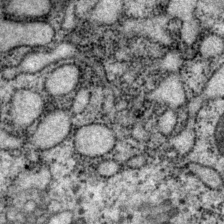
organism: P. pacificus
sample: Pharynx